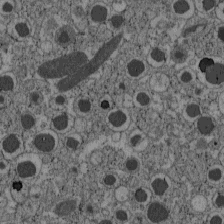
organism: C57BL Mouse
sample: Pancreatic islet